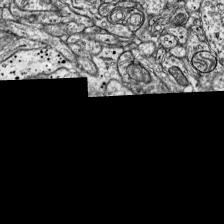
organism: Mouse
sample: Visual Cortex